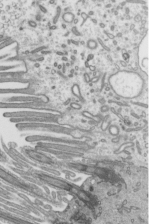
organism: Mouse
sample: Mouse epididymis efferent ductule cilia